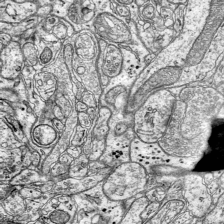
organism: Mouse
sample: Visual Cortex